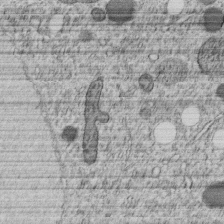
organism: C. elegans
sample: C. elegans embryo early stage